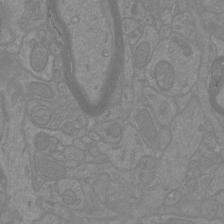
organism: Mouse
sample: Cortical neurons